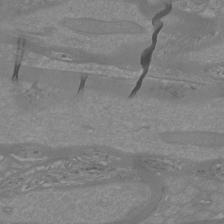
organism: Mouse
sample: Cortical neurons